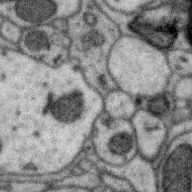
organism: Zebra finch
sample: Brain